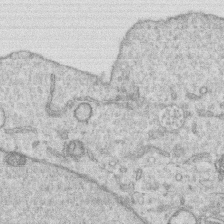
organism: Human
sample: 1205lu cells